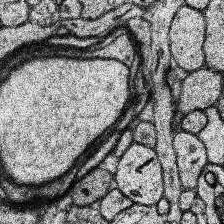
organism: Human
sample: Temporal Lobe